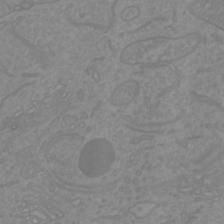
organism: Mouse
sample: Cortical neurons